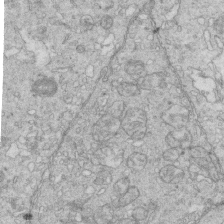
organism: Mouse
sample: Multiciliated cells